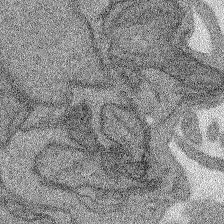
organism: Human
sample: HeLa cells